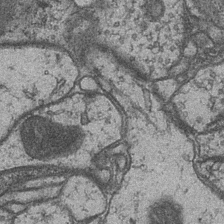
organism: Drosophila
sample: Optic medulla